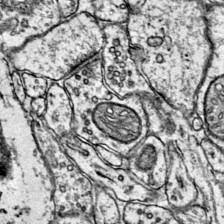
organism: Mouse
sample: Primary visual cortex